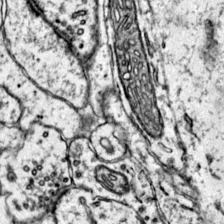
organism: Mouse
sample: Primary visual cortex